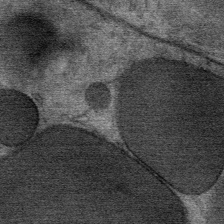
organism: Mouse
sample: Mouse Salivary gland